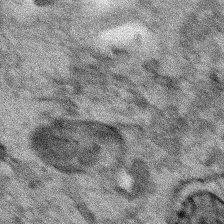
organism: Human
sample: Mitochondria in HCT116 cells